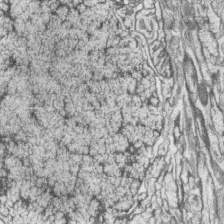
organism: Zebrafish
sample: synaptic ribbons in rod cells and cone cells